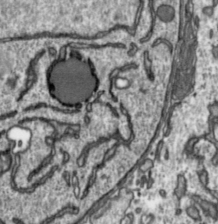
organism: Toxoplasma gondii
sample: Parasites in a vacuole inside a host cell